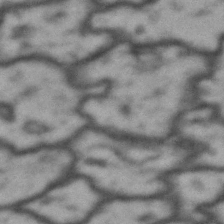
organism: Drosophila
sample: Brain